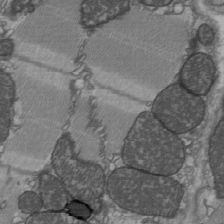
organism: C57BL Mouse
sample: Heart